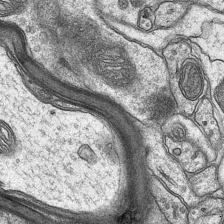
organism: Mouse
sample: CA1 Hippocampus